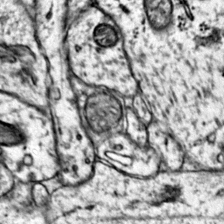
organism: Mouse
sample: Primary visual cortex